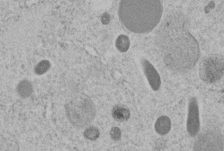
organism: C. elegans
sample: C. elegans embryo early stage